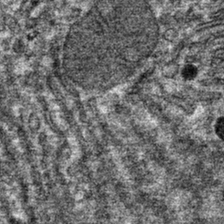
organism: Mouse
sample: Mouse hepatocytes